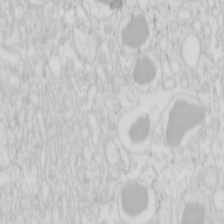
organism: Mouse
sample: Pancreas